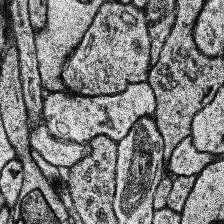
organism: Human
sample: Temporal Lobe